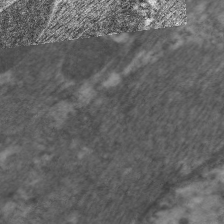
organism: C. elegans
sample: Pharynx